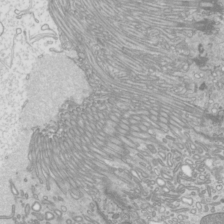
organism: Mouse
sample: Cilia; mouse epididymis